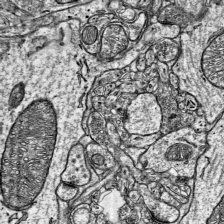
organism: Mouse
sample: Visual Cortex